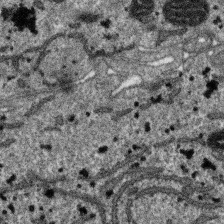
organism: Human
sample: Lung epithelial cells infected with SARS-CoV-2